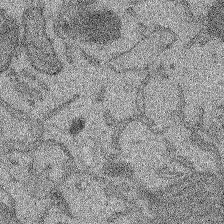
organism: Human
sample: HeLa cells